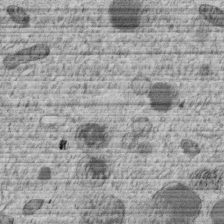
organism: C. elegans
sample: C. elegans embryo early stage